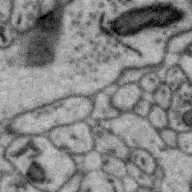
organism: Zebra finch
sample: Brain